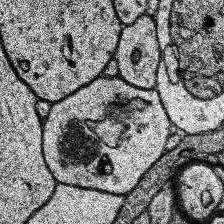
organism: Human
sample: Temporal Lobe